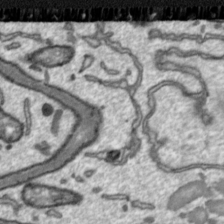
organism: Toxoplasma gondii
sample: Parasites in a vacuole inside a host cell